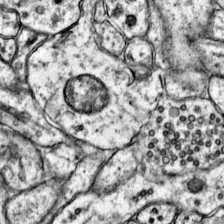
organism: Mouse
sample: Primary visual cortex